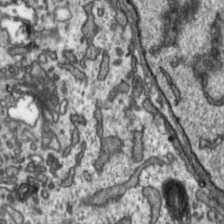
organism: Toxoplasma gondii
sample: Parasites in a vacuole inside a host cell